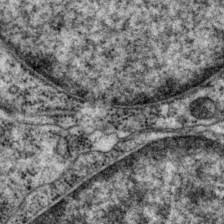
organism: P. pacificus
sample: Pharynx